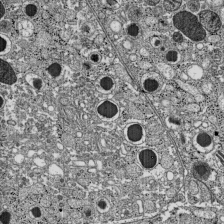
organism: C57BL Mouse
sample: Pancreatic islet